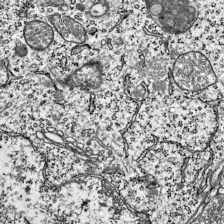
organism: Mouse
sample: Visual Cortex